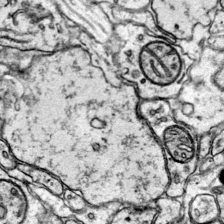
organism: Mouse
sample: Primary visual cortex